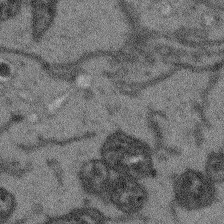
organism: Arabidopsis thaliana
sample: Root tip